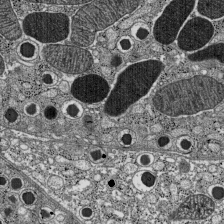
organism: C57BL Mouse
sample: Pancreatic islet